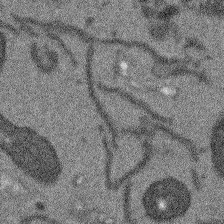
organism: Arabidopsis thaliana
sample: Root tip